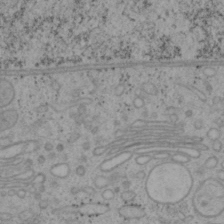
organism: Human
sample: HeLa cells